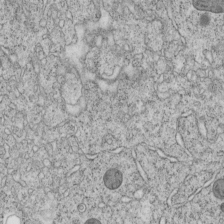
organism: C. elegans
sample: C. elegans embryo early stage